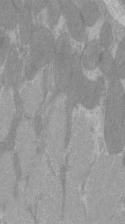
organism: C57BL Mouse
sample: Tibialis anterior muscle cell